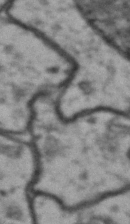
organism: Drosophila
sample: Brain